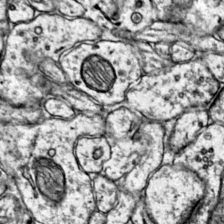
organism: Mouse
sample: Primary visual cortex